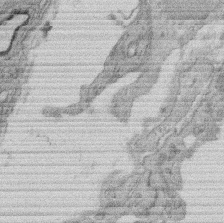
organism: Rat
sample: Salivary granule